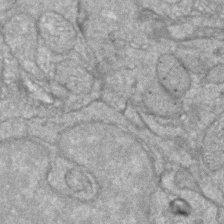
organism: Zebrafish